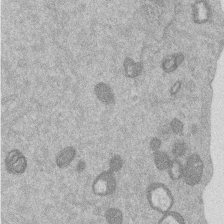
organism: Mouse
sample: Dividing mouse embryo 1 cell stage